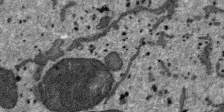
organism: Human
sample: Lung epithelial cells, uninfected (mock) control